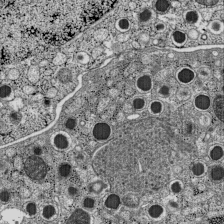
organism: C57BL Mouse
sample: Pancreatic islet